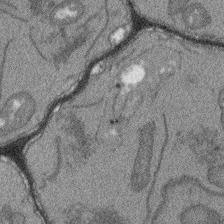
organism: Arabidopsis thaliana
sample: Root tip